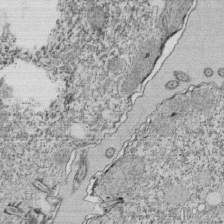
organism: Tetrahymena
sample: Cilia in tetrahymena